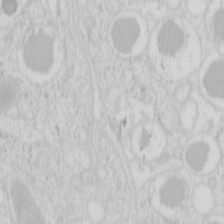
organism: Mouse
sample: Pancreas